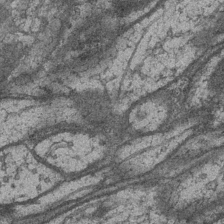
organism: Drosophila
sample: Optic medulla